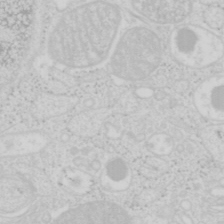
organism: Mouse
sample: Pancreas